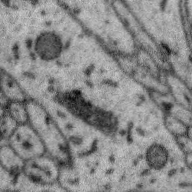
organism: Zebra finch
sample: Brain